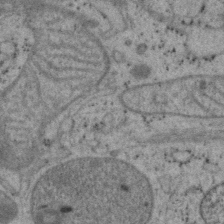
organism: Human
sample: HeLa cells